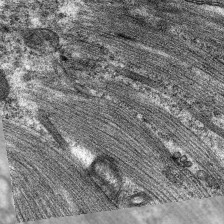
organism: C. elegans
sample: Pharynx